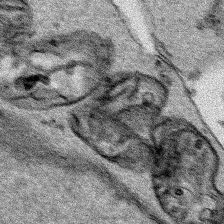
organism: Human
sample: Mitochondria in HCT116 cells